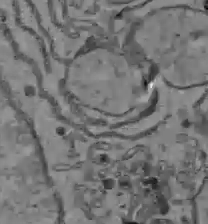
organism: C57BL Mouse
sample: Liver